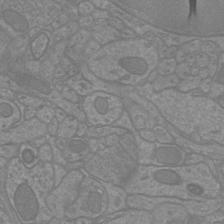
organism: Mouse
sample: Cortical neurons